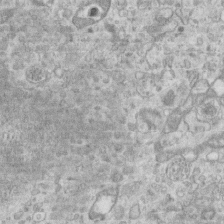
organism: Mouse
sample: Centriole in ependymal cells